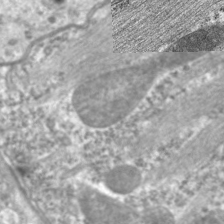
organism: C. elegans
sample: Pharynx